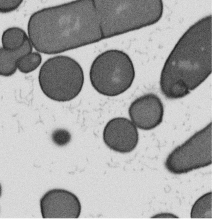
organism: B. subtilis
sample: Bacterial spore